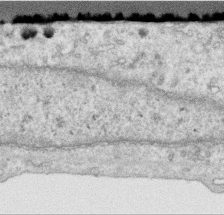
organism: Human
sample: Centriole in RPE cells